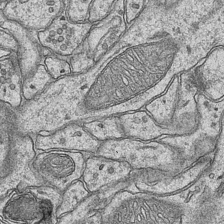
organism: Mouse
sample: CA1 Hippocampus